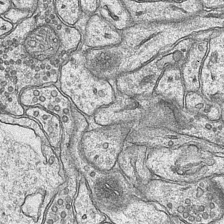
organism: Mouse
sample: CA1 Hippocampus